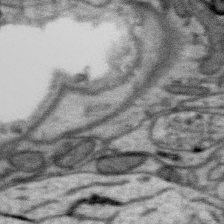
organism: Zebra finch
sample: Brain